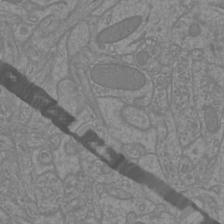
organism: Mouse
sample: Cortical neurons